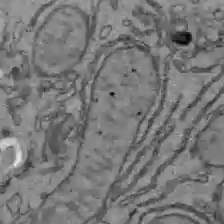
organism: C57BL Mouse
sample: Liver